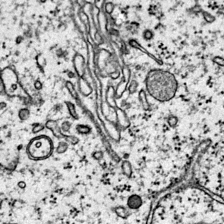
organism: Mouse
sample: Primary visual cortex